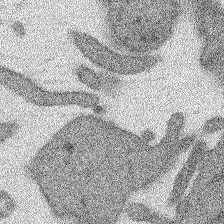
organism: Human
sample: HeLa cells